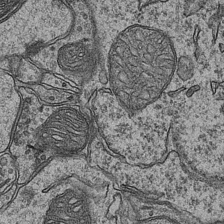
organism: Mouse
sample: CA1 Hippocampus